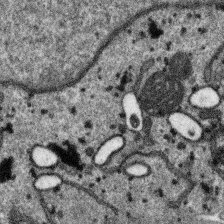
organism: Human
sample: Lung epithelial cells infected with SARS-CoV-2